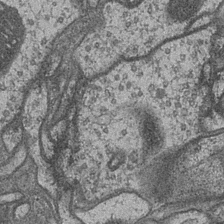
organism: Drosophila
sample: Optic medulla